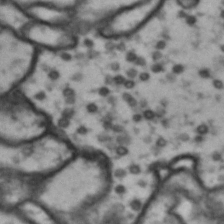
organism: Drosophila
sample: Brain